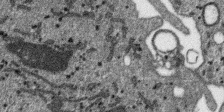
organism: Human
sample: Lung epithelial cells infected with SARS-CoV-2